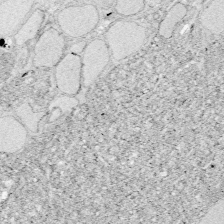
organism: Zebrafish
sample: Whole-Brain